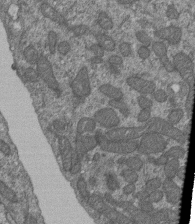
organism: Human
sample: Retinal organoid Rod and Cone cells